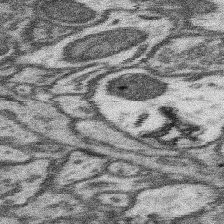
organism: Mouse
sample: Somatosensory cortex neuropil